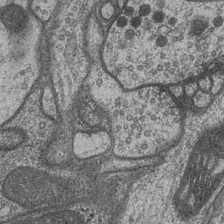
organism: Drosophila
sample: Optic medulla